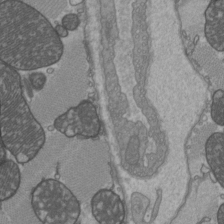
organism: C57BL Mouse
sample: Heart